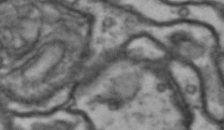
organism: Drosophila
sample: Brain